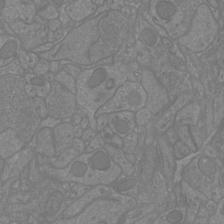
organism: Mouse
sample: Cortical neurons